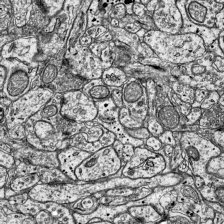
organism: Mouse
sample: Visual Cortex